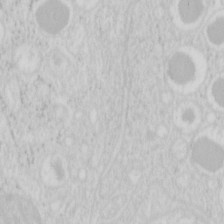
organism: Mouse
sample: Pancreas